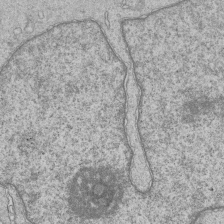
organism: Human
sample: MDA-MB-231 cells